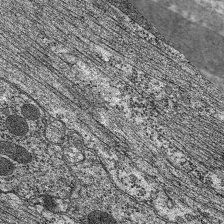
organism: C. elegans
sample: Pharynx